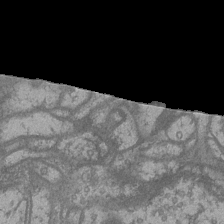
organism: Drosophila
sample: Optic medulla